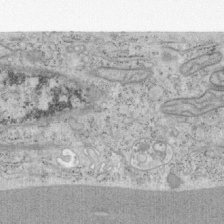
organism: Human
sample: HeLa cells